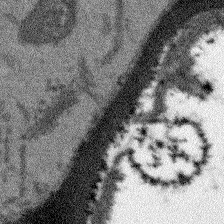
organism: Arabidopsis thaliana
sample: Root tip